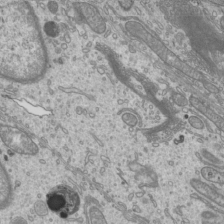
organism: Mouse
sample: Cilia; mouse epididymis